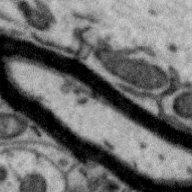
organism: Zebra finch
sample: Brain